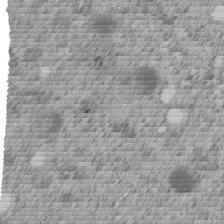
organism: C. elegans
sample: C. elegans embryo early stage